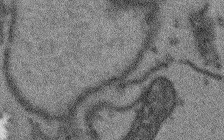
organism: Arabidopsis thaliana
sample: Root tip